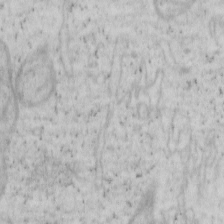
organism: Human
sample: HeLa cells